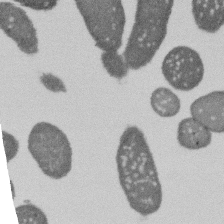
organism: E. coli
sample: Bacterial nucleoid